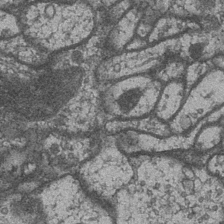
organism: Drosophila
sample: Optic medulla